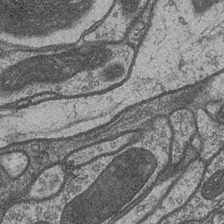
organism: Drosophila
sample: Optic medulla